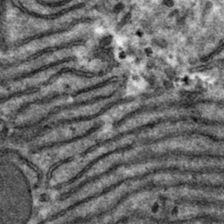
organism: Mouse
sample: Mouse hepatocytes